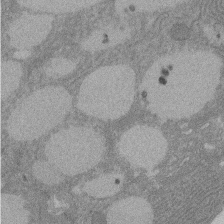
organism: Rat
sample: Salivary granule